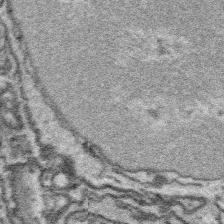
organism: Platynereis dumerilii